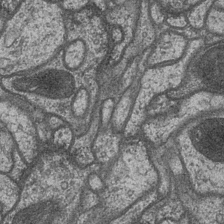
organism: Drosophila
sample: Optic medulla